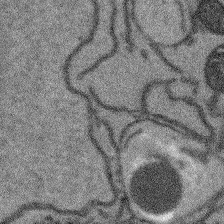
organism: Arabidopsis thaliana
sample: Root tip